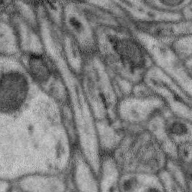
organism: Zebra finch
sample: Brain